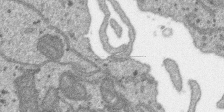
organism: Human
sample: Lung epithelial cells infected with SARS-CoV-2